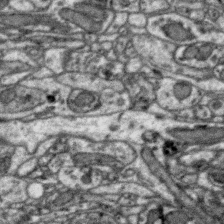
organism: Zebra finch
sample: Brain